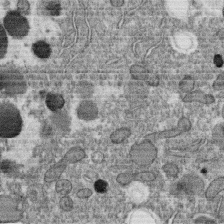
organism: C. elegans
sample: C. elegans oocyte; sperm cells